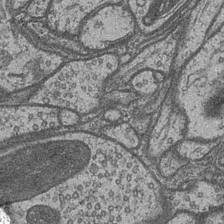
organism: Drosophila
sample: Optic medulla